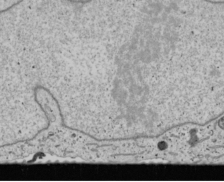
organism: Human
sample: Mitochondria in U2OS cells